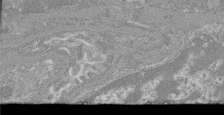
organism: Mouse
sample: Glomerulus